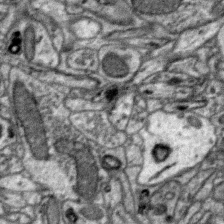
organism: Zebra finch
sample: Brain